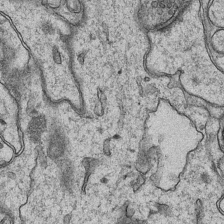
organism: Mouse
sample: CA1 Hippocampus